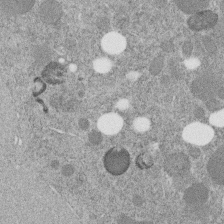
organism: C. elegans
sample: C. elegans embryo early stage